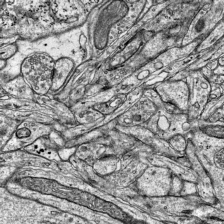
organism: Mouse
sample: Visual Cortex